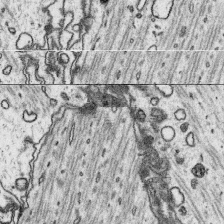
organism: Platynereis dumerilii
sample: Parapodia